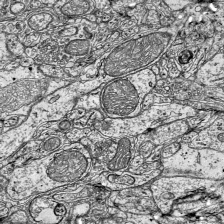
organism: Mouse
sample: Visual Cortex